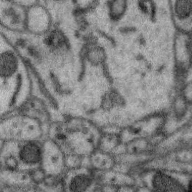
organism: Zebra finch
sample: Brain